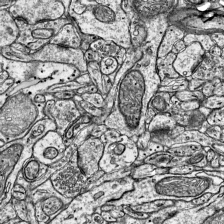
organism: Mouse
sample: Visual Cortex